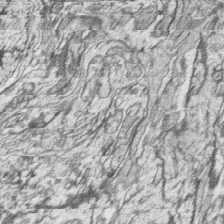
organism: Zebrafish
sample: synaptic ribbons in rod cells and cone cells